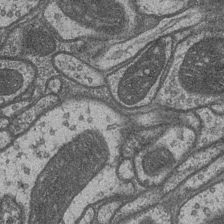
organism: Drosophila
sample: Optic medulla